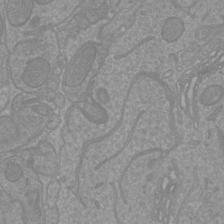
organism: Mouse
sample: Cortical neurons